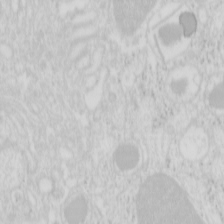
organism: Mouse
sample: Pancreas